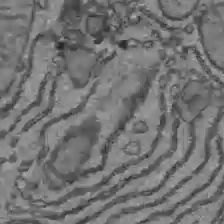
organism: C57BL Mouse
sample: Liver